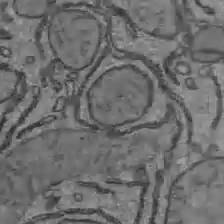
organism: C57BL Mouse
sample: Liver